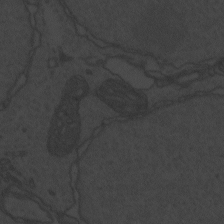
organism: Zebrafish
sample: Macrophage infected with Toxoplasma gondii